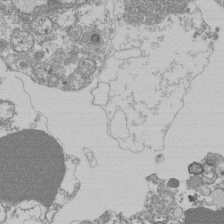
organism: Mouse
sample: Activated Pmel transgenic CD8+ T Cells